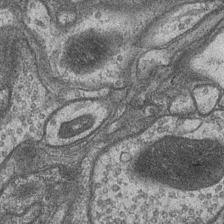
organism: Drosophila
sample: Optic medulla